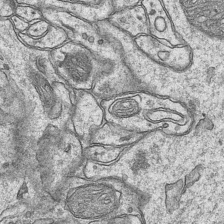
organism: Mouse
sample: CA1 Hippocampus